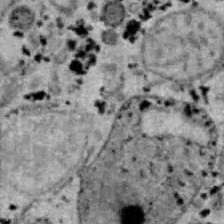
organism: Mouse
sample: Liver from an obese (ob/ob) mouse